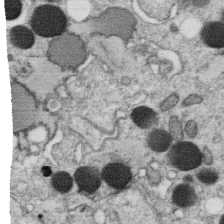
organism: C. elegans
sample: C. elegans oocyte; sperm cells